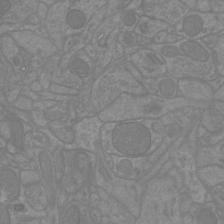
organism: Mouse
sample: Cortical neurons